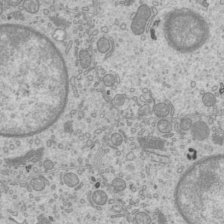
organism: Mouse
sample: Cilia; mouse epididymis